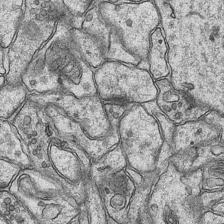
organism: Mouse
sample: CA1 Hippocampus